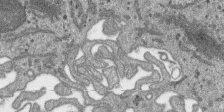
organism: Human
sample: Lung epithelial cells infected with SARS-CoV-2